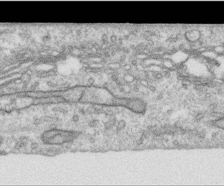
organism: Human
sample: Centriole in RPE cells